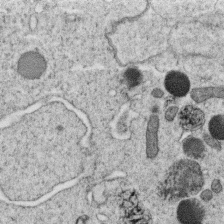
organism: C. elegans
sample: C. elegans oocyte; sperm cells